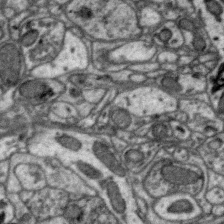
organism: Zebra finch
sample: Brain